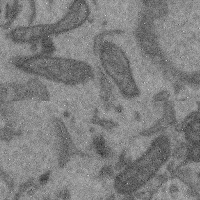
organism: Mouse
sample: Cerebral cortex